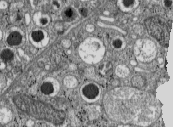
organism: C57BL Mouse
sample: Pancreatic islet